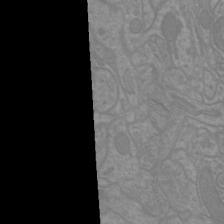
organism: Mouse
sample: Cortical neurons